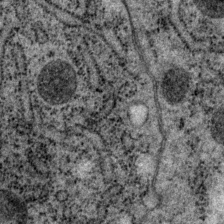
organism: P. pacificus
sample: Pharynx